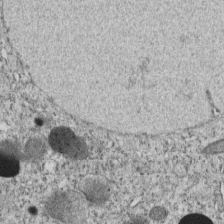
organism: C. elegans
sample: C. elegans embryo early stage